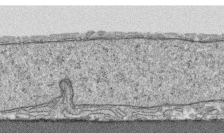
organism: Human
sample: CRL-1474